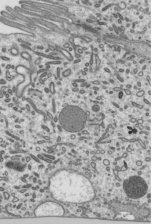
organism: Mouse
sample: Mouse epididymis efferent ductule cilia